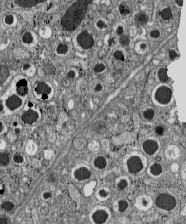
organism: C57BL Mouse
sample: Pancreatic islet